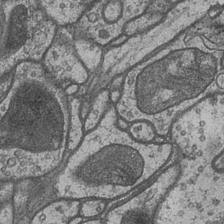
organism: Drosophila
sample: Optic medulla